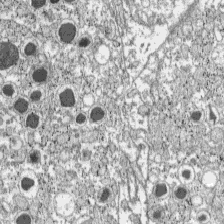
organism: C57BL Mouse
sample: Pancreatic islet